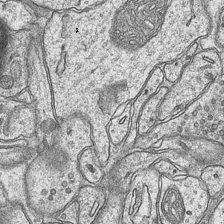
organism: Mouse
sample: CA1 Hippocampus